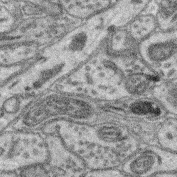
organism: Mouse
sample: Retina